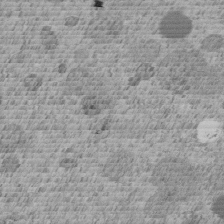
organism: C. elegans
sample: C. elegans embryo early stage